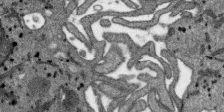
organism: Human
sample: Lung epithelial cells, uninfected (mock) control